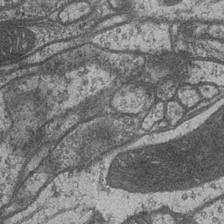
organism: Drosophila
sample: Optic medulla